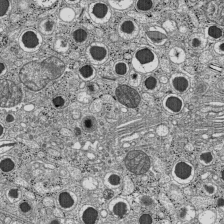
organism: C57BL Mouse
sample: Pancreatic islet